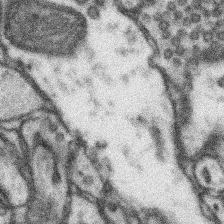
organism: Mouse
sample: Somatosensory cortex neuropil